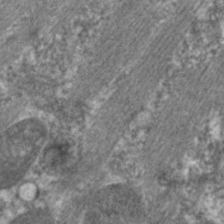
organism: C. elegans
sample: Pharynx